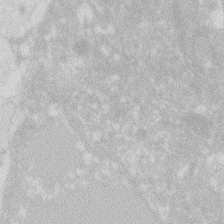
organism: Zebrafish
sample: Macrophage